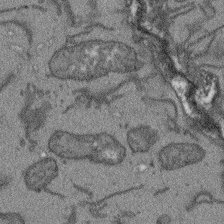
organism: Arabidopsis thaliana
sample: Root tip